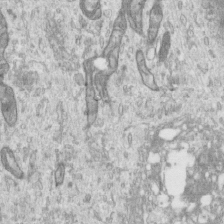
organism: Human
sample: Centriole in RPE cells